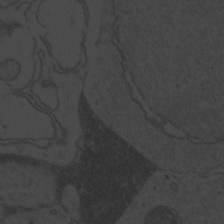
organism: Zebrafish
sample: Macrophage infected with Toxoplasma gondii